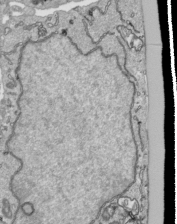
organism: Human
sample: Mitochondria in HCT116 cells